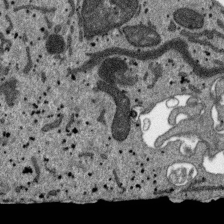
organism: Human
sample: Lung epithelial cells, uninfected (mock) control